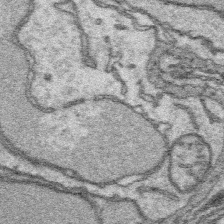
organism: Platynereis dumerilii